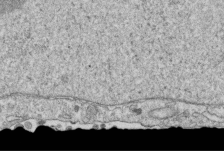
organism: Human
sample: HeLa cell HIV synapse